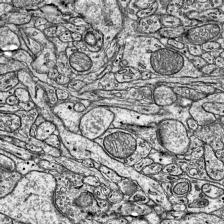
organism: Mouse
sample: Visual Cortex